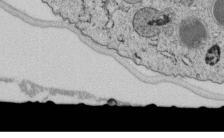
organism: C. elegans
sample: C. elegans embryo early stage